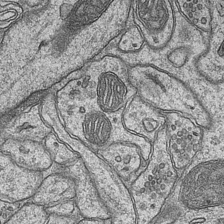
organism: Mouse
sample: CA1 Hippocampus